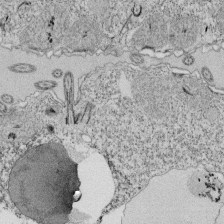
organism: Tetrahymena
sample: Cilia in tetrahymena